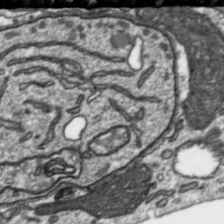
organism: Toxoplasma gondii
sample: Parasites in a vacuole inside a host cell